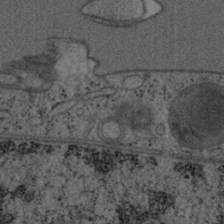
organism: Human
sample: HeLa cells